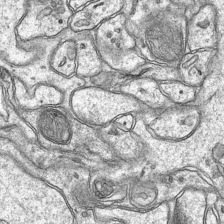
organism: Mouse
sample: CA1 Hippocampus